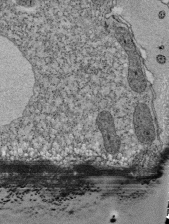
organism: Tetrahymena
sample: Cilia in tetrahymena